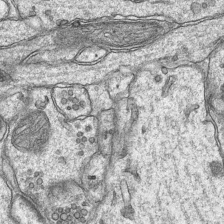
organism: Mouse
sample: CA1 Hippocampus